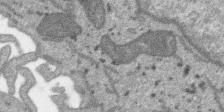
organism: Human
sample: Lung epithelial cells infected with SARS-CoV-2